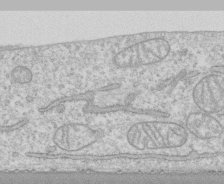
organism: Human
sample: CRL-1474